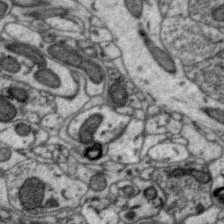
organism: Zebra finch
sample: Brain